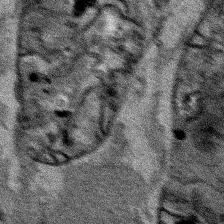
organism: Human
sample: Mitochondria in HCT116 cells